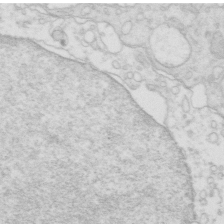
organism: Mouse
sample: Multiciliated cells